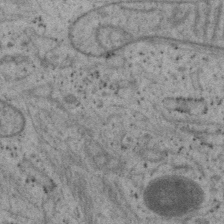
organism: Human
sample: HeLa cells